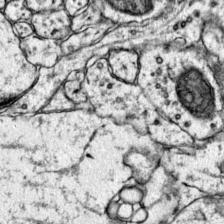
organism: Mouse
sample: Primary visual cortex